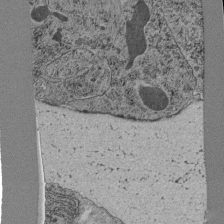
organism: C. elegans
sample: C. elegans pharynx